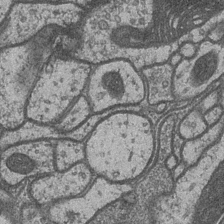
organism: Drosophila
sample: Optic medulla